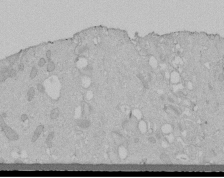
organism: Human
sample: Melanocyte Keratinocyte synapse skin construct